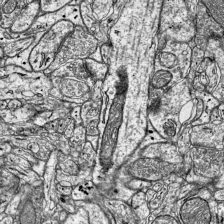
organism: Mouse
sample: Visual Cortex